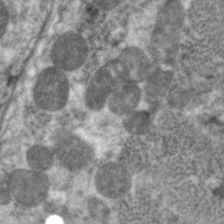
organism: C. elegans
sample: Pharynx